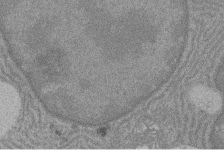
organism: Rat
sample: Salivary granule